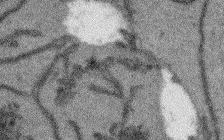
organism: Arabidopsis thaliana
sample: Root tip